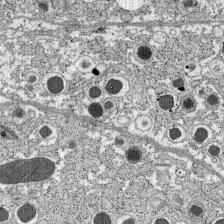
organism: C57BL Mouse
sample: Pancreatic islet